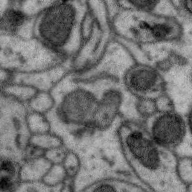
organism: Zebra finch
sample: Brain